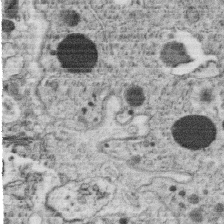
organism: C. elegans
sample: C. elegans oocyte; sperm cells